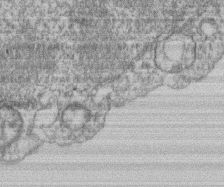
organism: Mouse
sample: T cell stromal cell synapse